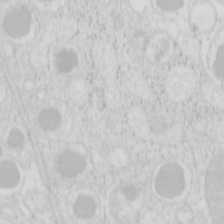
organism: Mouse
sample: Pancreas